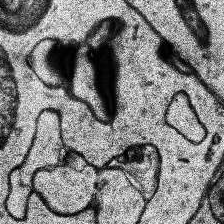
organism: Human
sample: Temporal Lobe